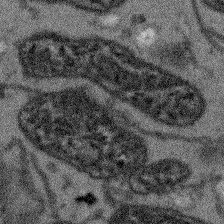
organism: Arabidopsis thaliana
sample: Root tip